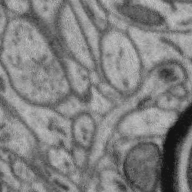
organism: Zebra finch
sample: Brain